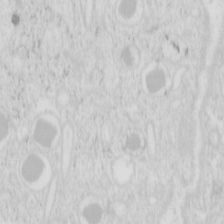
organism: Mouse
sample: Pancreas